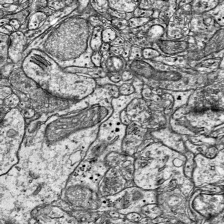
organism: Mouse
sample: Visual Cortex